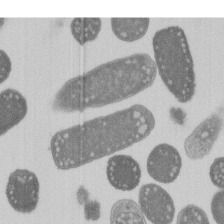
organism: E. coli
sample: Bacterial nucleoid